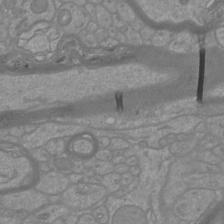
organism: Mouse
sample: Cortical neurons